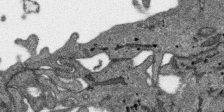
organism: Human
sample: Lung epithelial cells, uninfected (mock) control